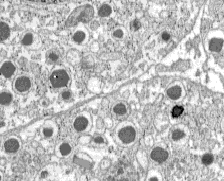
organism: C57BL Mouse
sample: Pancreatic islet